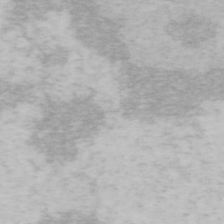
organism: Mouse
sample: OT-I killer T cells with ID8 ovarian cancer cells